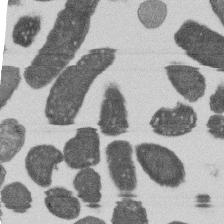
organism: E. coli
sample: Bacterial nucleoid